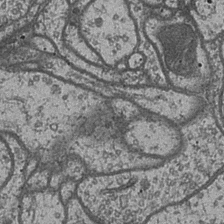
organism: Drosophila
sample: Optic medulla